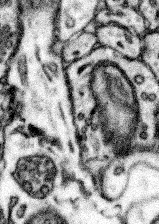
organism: Mouse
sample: Somatosensory cortex neuropil